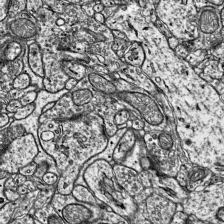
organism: Mouse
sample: Visual Cortex